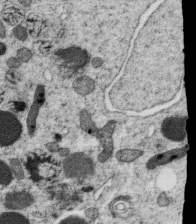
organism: C. elegans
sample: C. elegans oocyte; sperm cells